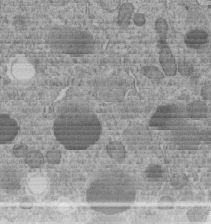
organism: C. elegans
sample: C. elegans embryo early stage